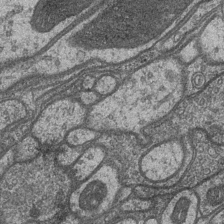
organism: Drosophila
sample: Optic medulla